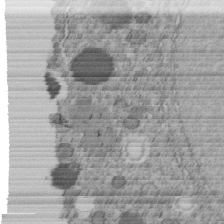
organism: C. elegans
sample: C. elegans embryo early stage